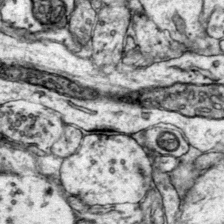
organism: Mouse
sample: Primary visual cortex